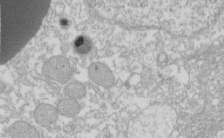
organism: Xenopus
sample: Cilia; centrioles in frog embryo cells